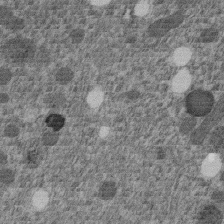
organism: C. elegans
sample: C. elegans embryo early stage